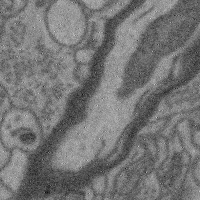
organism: Mouse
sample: Cerebral cortex